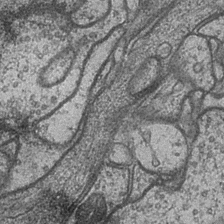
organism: Drosophila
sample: Optic medulla